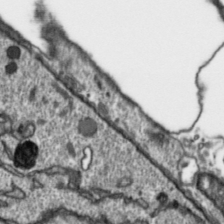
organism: Toxoplasma gondii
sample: Parasites in a vacuole inside a host cell